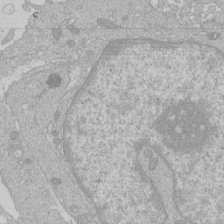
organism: Human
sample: Macrophage cells